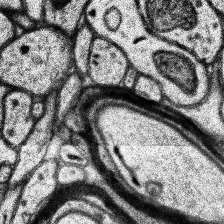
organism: Human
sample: Temporal Lobe